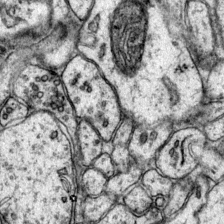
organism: Mouse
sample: Primary visual cortex